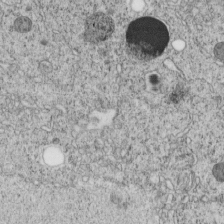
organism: C. elegans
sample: C. elegans embryo early stage